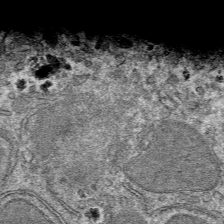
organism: Mouse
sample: Mouse hepatocytes